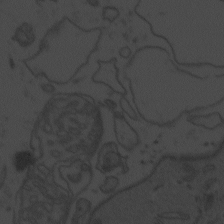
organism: Zebrafish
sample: Macrophage infected with Toxoplasma gondii